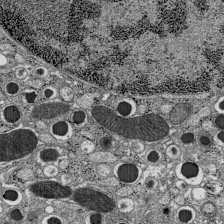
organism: C57BL Mouse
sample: Pancreatic islet